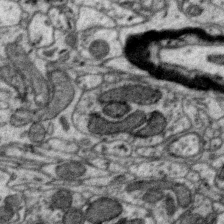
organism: Zebra finch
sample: Brain